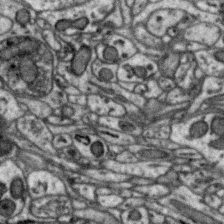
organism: Zebra finch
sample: Brain